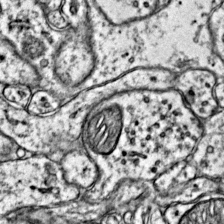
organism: Mouse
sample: Primary visual cortex